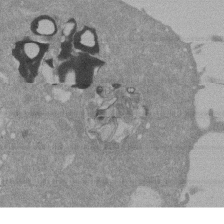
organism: Mouse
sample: ED-1 cell nuclei; centrioles